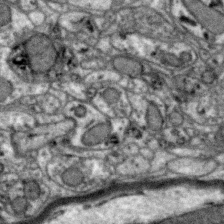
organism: Zebra finch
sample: Brain